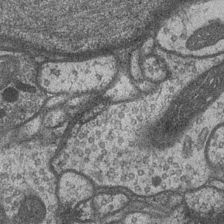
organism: Drosophila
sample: Optic medulla